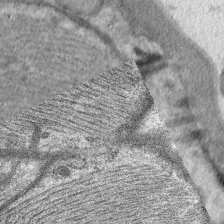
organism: C. elegans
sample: Pharynx